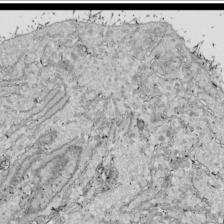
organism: Drosophila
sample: Cell division; meiosis; drosophila spermatocytes